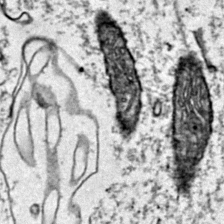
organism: Mouse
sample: Primary visual cortex